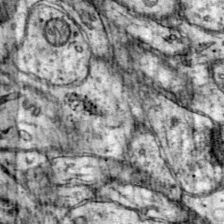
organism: Mouse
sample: Primary visual cortex